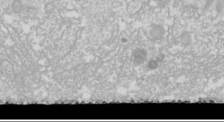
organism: Drosophila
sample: Cell division; meiosis; drosophila spermatocytes